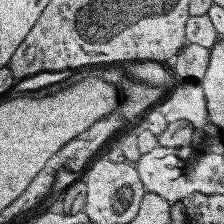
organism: Human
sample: Temporal Lobe